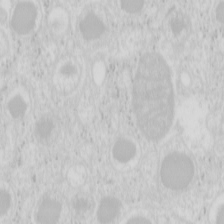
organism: Mouse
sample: Pancreas